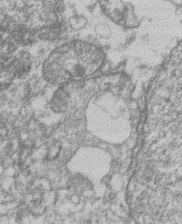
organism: Mouse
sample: T cell stromal cell synapse